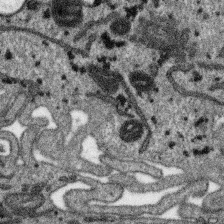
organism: Human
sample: Lung epithelial cells infected with SARS-CoV-2